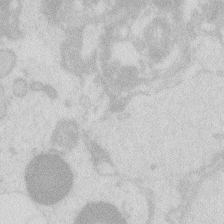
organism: Zebrafish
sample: Macrophage